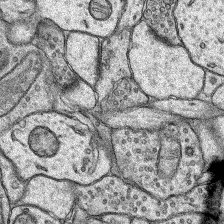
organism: Rat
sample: Hippocampus